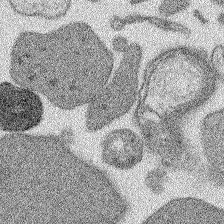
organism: Human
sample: HeLa cells